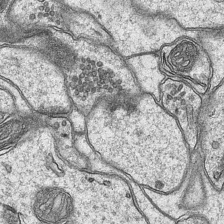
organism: Mouse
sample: CA1 Hippocampus